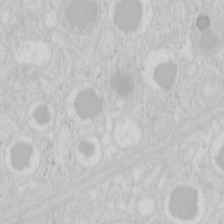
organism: Mouse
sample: Pancreas